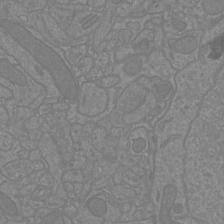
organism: Mouse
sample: Cortical neurons